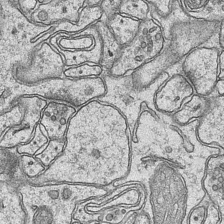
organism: Mouse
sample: CA1 Hippocampus